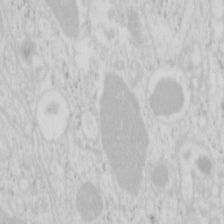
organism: Mouse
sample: Pancreas